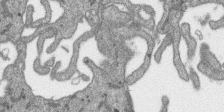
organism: Human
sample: Lung epithelial cells infected with SARS-CoV-2